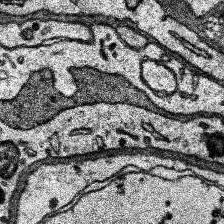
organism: Human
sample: Temporal Lobe